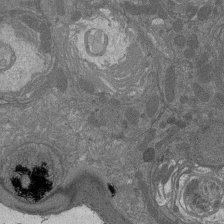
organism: Drosophila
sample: Antenna